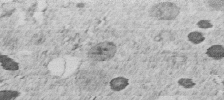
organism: C. elegans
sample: C. elegans embryo early stage